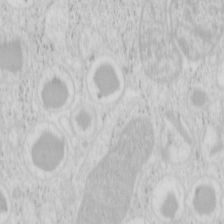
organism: Mouse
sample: Pancreas